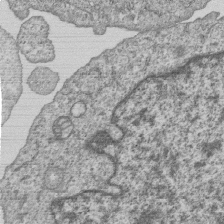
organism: Human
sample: MDA-MB-231 cells